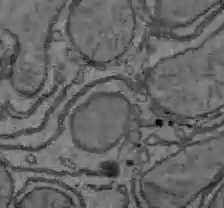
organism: C57BL Mouse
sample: Liver